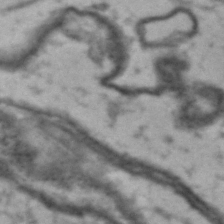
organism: Drosophila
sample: Brain